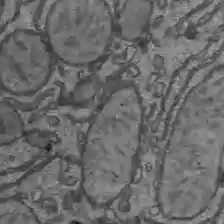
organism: C57BL Mouse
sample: Liver